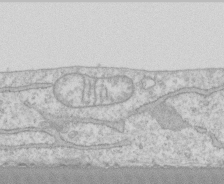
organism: Human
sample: CRL-1474